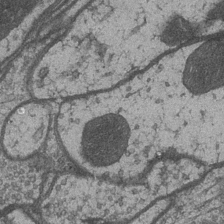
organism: Drosophila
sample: Optic medulla